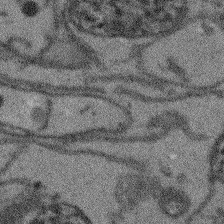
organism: Arabidopsis thaliana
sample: Root tip